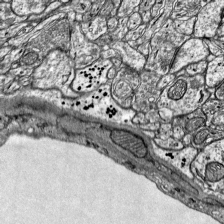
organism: Mouse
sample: Visual Cortex